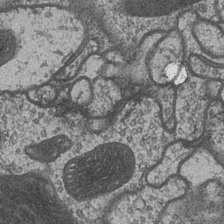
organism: Drosophila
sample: Optic medulla